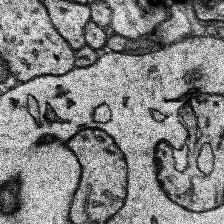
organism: Human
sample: Temporal Lobe